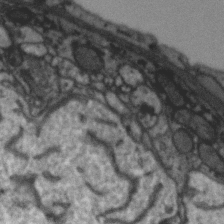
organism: Zebra finch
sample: Brain